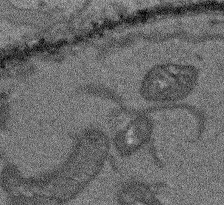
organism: Arabidopsis thaliana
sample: Root tip